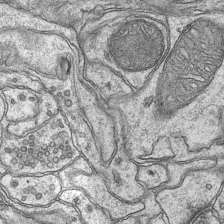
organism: Mouse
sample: CA1 Hippocampus